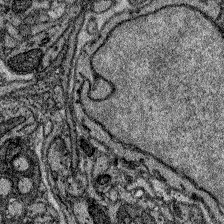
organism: Zebrafish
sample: Larval olfactory bulb